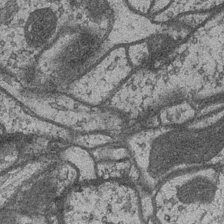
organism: Drosophila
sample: Optic medulla